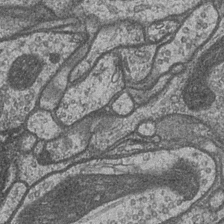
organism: Drosophila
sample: Optic medulla